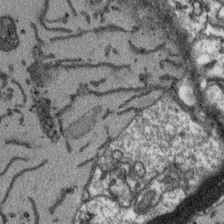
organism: Arabidopsis thaliana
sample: Root tip